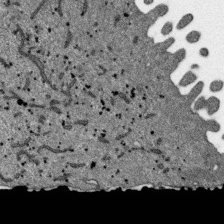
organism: Human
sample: Lung epithelial cells, uninfected (mock) control